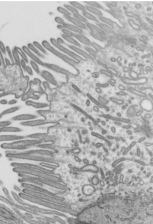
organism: Mouse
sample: Mouse epididymis efferent ductule cilia